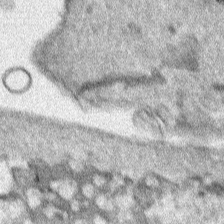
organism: Human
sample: Mitochondria in HCT116 cells